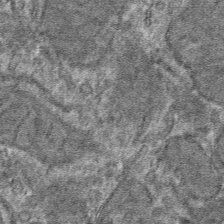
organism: Mouse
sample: Mouse hepatocytes